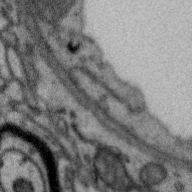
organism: Zebra finch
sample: Brain